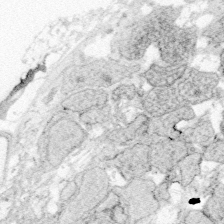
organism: Zebrafish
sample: Whole-Brain